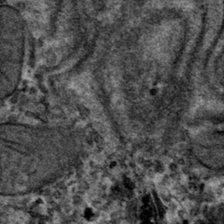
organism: Mouse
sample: Mouse hepatocytes